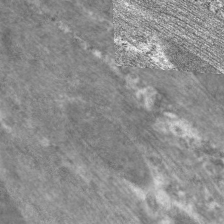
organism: C. elegans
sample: Pharynx